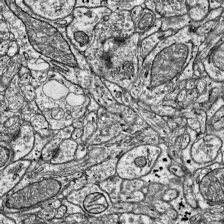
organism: Mouse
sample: Visual Cortex